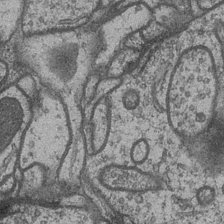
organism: Drosophila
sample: Optic medulla